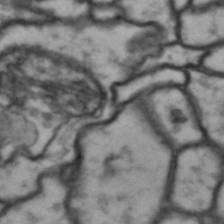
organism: Drosophila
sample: Brain